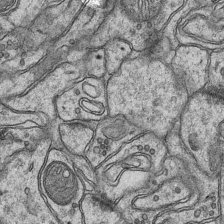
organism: Mouse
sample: CA1 Hippocampus